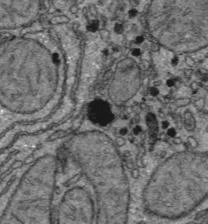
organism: C57BL Mouse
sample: Liver